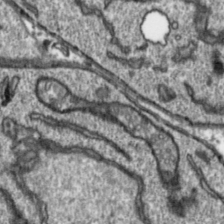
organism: Toxoplasma gondii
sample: Parasites in a vacuole inside a host cell